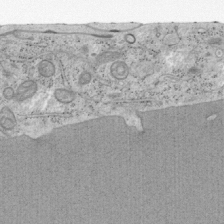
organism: Human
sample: HeLa cells